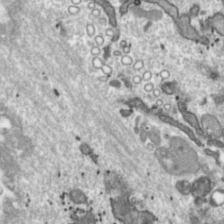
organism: Toxoplasma gondii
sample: Parasites in a vacuole inside a host cell